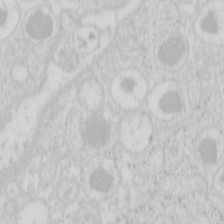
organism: Mouse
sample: Pancreas